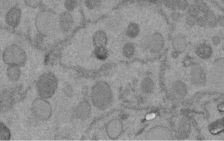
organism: C. elegans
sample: C. elegans embryo early stage